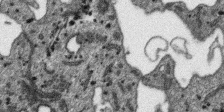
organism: Human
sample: Lung epithelial cells infected with SARS-CoV-2